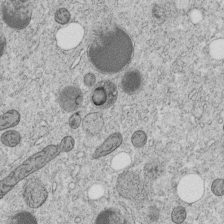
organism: C. elegans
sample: C. elegans embryo early stage